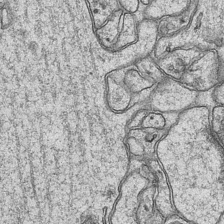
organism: Mouse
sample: CA1 Hippocampus